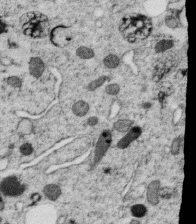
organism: C. elegans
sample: C. elegans oocyte; sperm cells